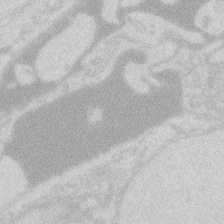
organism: Zebrafish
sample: Macrophage